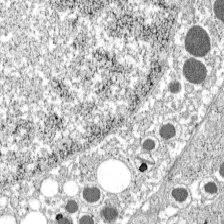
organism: C57BL Mouse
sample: Pancreatic islet